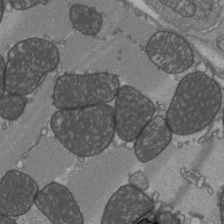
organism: C57BL Mouse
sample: Heart